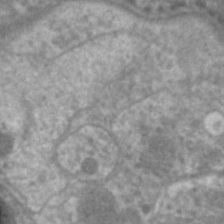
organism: C. elegans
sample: Pharynx